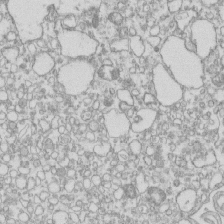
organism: Mouse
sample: Macrophages